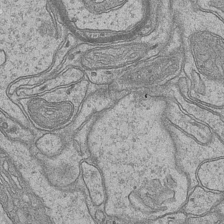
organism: Mouse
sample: CA1 Hippocampus